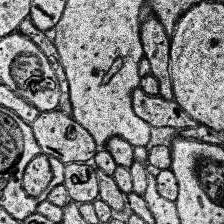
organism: Human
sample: Temporal Lobe